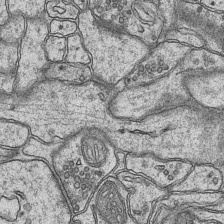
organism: Mouse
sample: CA1 Hippocampus